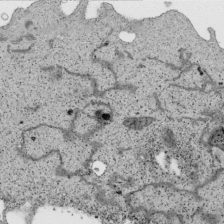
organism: Human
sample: Mitochondria in HCT116 cells